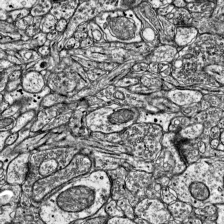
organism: Mouse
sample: Visual Cortex